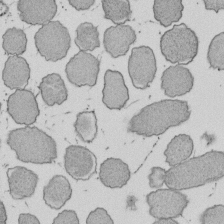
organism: E. coli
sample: Bacterial nucleoid